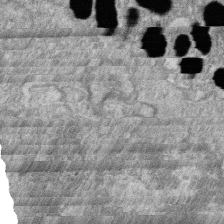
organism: Zebrafish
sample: Cilia; retinal pigment epithelium